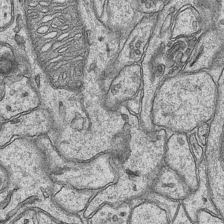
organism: Mouse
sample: CA1 Hippocampus